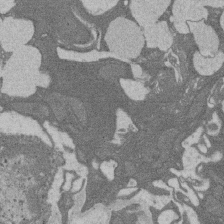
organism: Rat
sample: Salivary granule